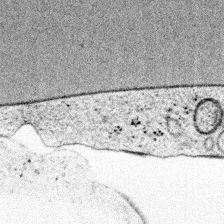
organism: Human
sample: HeLa cells